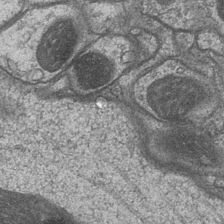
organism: Drosophila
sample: Optic medulla